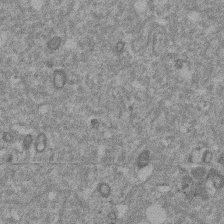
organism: Mouse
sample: Dividing mouse embryo 1 cell stage